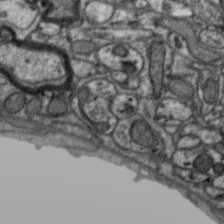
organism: Zebra finch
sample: Brain